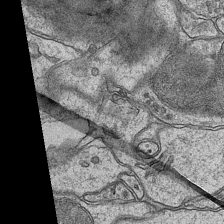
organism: Mouse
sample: CA1 Hippocampus